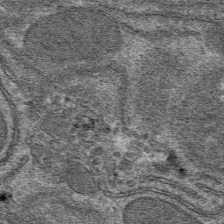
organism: Mouse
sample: Mouse hepatocytes